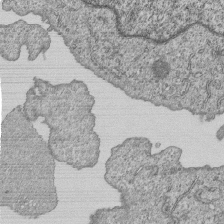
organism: Human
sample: MDA-MB-231 cells